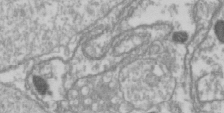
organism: Drosophila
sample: Cell division; meiosis; drosophila spermatocytes